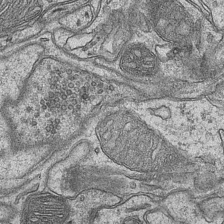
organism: Mouse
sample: CA1 Hippocampus